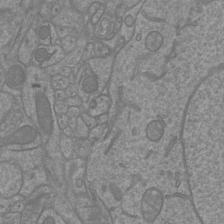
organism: Mouse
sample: Cortical neurons